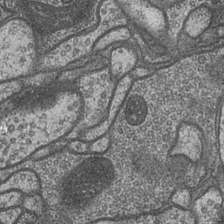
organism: Drosophila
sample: Optic medulla